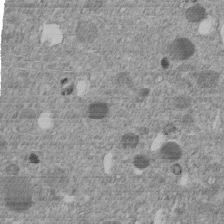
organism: C. elegans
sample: C. elegans embryo early stage